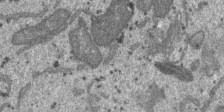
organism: Human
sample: Lung epithelial cells infected with SARS-CoV-2